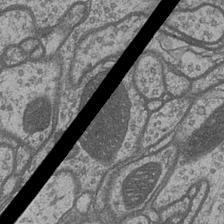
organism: Drosophila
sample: Optic medulla